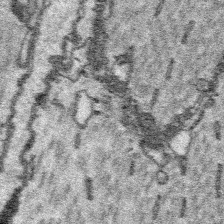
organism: Platynereis dumerilii